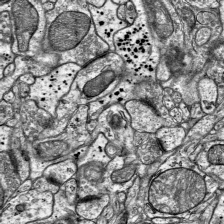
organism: Mouse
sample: Visual Cortex